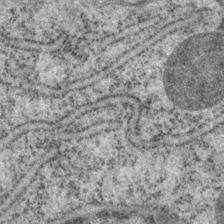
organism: P. pacificus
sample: Pharynx